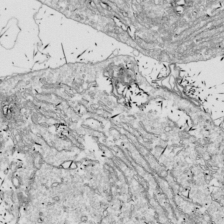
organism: Drosophila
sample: Cell division; meiosis; drosophila spermatocytes